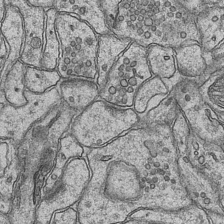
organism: Mouse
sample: CA1 Hippocampus